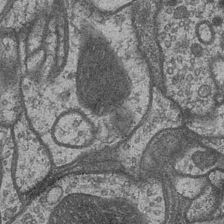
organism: Drosophila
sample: Optic medulla